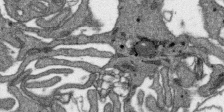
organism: Human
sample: Lung epithelial cells, uninfected (mock) control